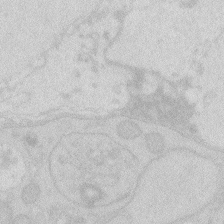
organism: Zebrafish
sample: Macrophage